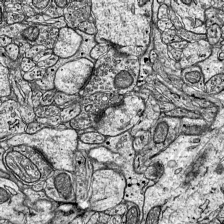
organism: Mouse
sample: Visual Cortex